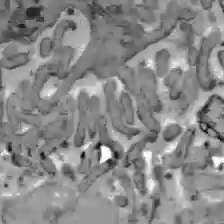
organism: C57BL Mouse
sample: Liver